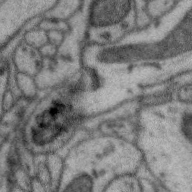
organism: Zebra finch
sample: Brain